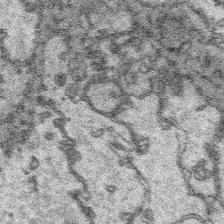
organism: Platynereis dumerilii